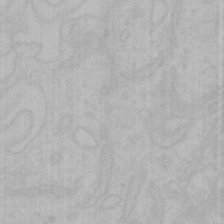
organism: Mouse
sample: Choroid plexus